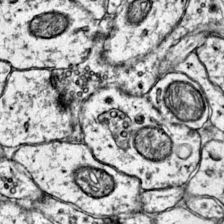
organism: Mouse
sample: Primary visual cortex